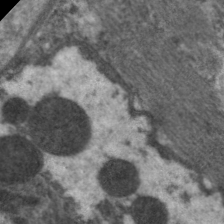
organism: C. elegans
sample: Pharynx